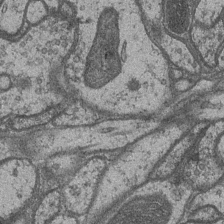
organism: Drosophila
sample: Optic medulla